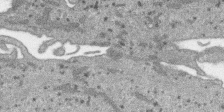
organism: Human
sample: Lung epithelial cells infected with SARS-CoV-2